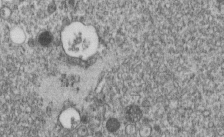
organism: C. elegans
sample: C. elegans embryo early stage